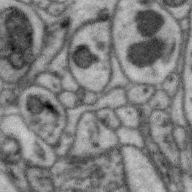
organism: Zebra finch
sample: Brain